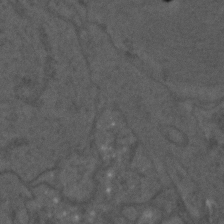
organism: C. elegans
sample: C. elegans embryo